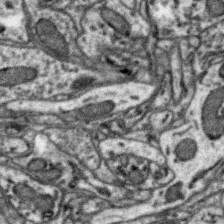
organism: Zebra finch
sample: Brain